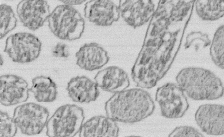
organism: E. coli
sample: Bacterial nucleoid